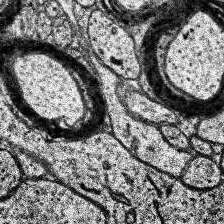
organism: Human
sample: Temporal Lobe